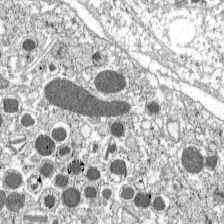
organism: C57BL Mouse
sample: Pancreatic islet